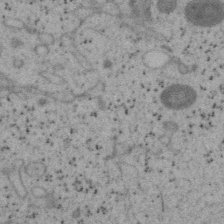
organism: Human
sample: HeLa cells